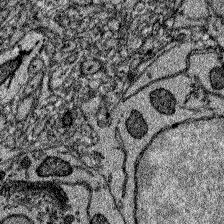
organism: Zebrafish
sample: Larval olfactory bulb